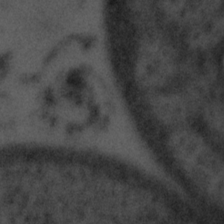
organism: Tuwongella immobilis